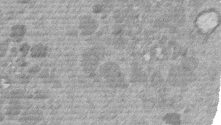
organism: Mouse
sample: Dividing mouse embryo 1 cell stage